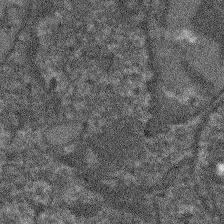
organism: Arabidopsis thaliana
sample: Root tip